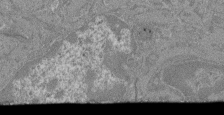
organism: Mouse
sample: Glomerulus